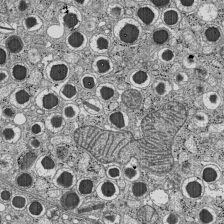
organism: C57BL Mouse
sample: Pancreatic islet